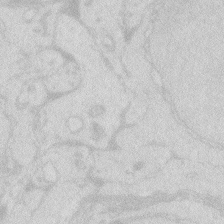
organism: Zebrafish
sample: Macrophage